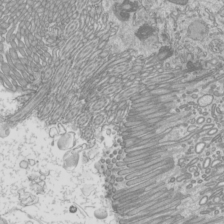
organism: Mouse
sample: Cilia; mouse epididymis